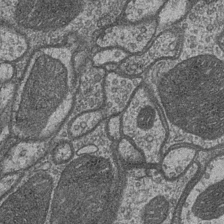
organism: Drosophila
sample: Optic medulla